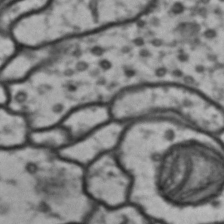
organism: Drosophila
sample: Brain